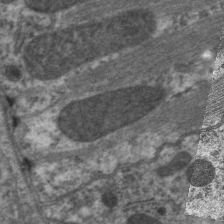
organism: C. elegans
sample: Pharynx